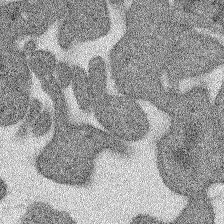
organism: Human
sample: HeLa cells